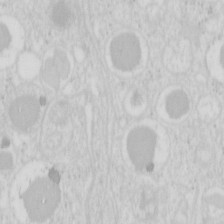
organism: Mouse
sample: Pancreas